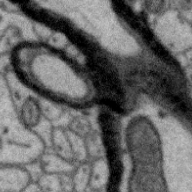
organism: Zebra finch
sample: Brain